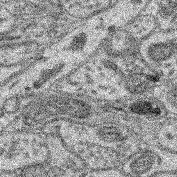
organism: Mouse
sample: Retina